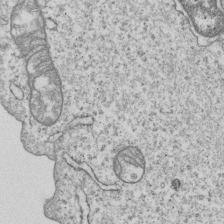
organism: Human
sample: MDA-MB-231 cells